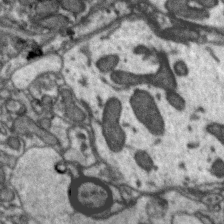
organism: Zebra finch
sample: Brain